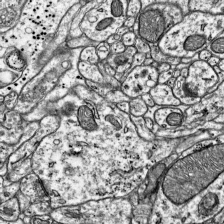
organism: Mouse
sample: Visual Cortex